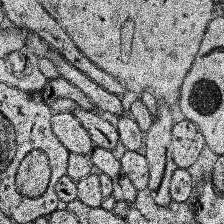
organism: Human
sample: Temporal Lobe